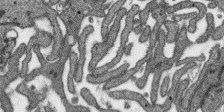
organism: Human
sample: Lung epithelial cells, uninfected (mock) control